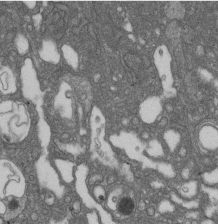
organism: Drosophila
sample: Nephrocyte